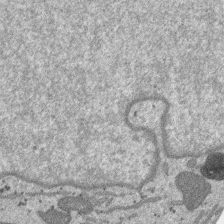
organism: Human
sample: Lung epithelial cells infected with SARS-CoV-2